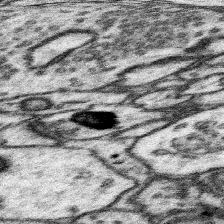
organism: Mouse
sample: Somatosensory cortex neuropil